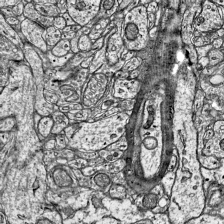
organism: Mouse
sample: Visual Cortex